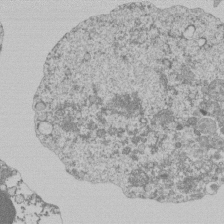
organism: Mouse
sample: Activated Pmel transgenic CD8+ T Cells